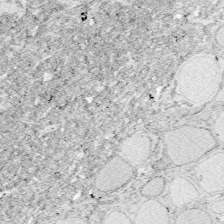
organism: Zebrafish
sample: Whole-Brain